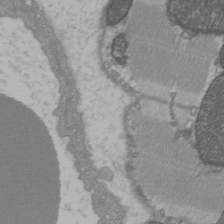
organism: C57BL Mouse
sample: Heart